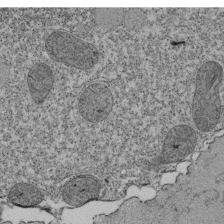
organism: Tetrahymena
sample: Cilia in tetrahymena